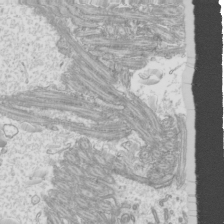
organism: Mouse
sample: Cilia; mouse epididymis